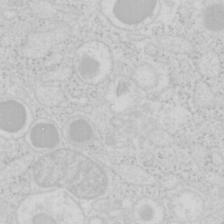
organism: Mouse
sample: Pancreas